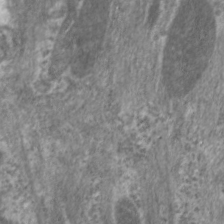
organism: C. elegans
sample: Pharynx